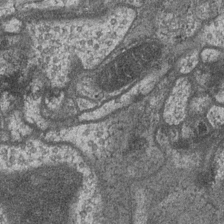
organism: Drosophila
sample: Optic medulla